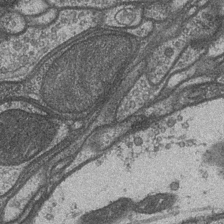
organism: Drosophila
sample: Optic medulla